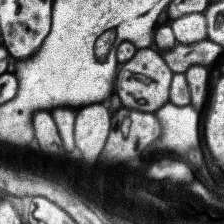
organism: Human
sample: Temporal Lobe